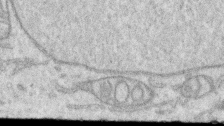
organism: Human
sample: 1205lu cells